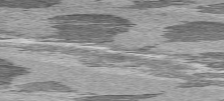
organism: C57BL Mouse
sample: Heart